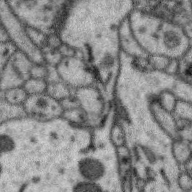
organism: Zebra finch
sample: Brain